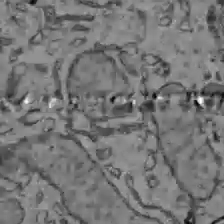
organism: C57BL Mouse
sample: Liver